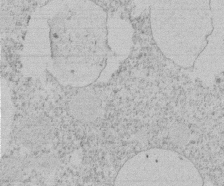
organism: Tetrahymena